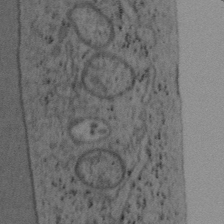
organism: Human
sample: HeLa cells